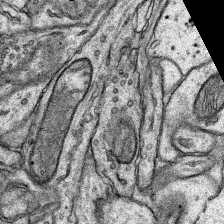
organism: Rat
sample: Hippocampus